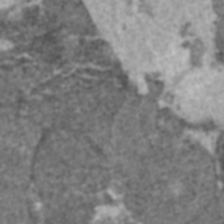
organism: C57BL Mouse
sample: Heart